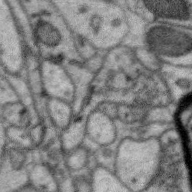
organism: Zebra finch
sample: Brain